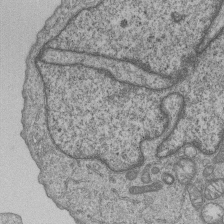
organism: Human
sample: MDA-MB-231 cells